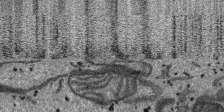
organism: Human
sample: Lung epithelial cells, uninfected (mock) control